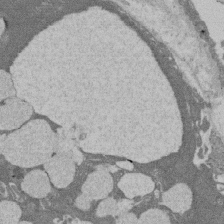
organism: Rat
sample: Salivary granule